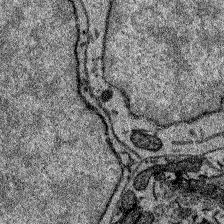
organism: Zebrafish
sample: Larval olfactory bulb